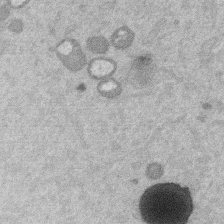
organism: Mouse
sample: Dividing mouse embryo 1 cell stage